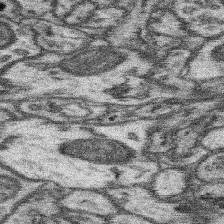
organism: Mouse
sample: Somatosensory cortex neuropil